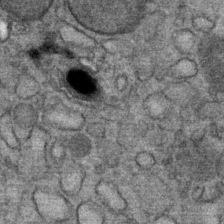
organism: Mouse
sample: Mouse Salivary gland